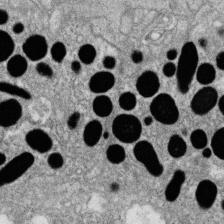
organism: Zebrafish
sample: Cilia; retinal pigment epithelium